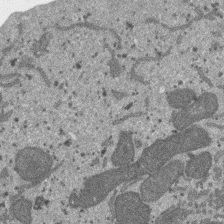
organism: Human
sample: Lung epithelial cells infected with SARS-CoV-2